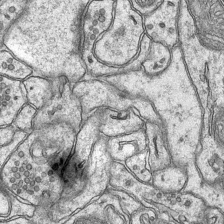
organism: Mouse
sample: CA1 Hippocampus